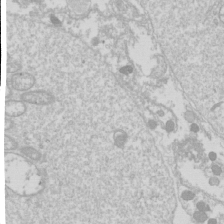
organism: Drosophila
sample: Cell division; meiosis; drosophila spermatocytes